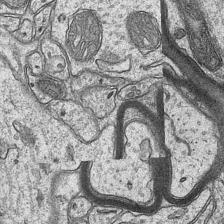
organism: Mouse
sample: CA1 Hippocampus